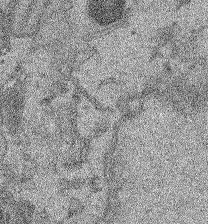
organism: Human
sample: HeLa cells